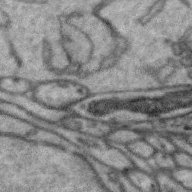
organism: Zebra finch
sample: Brain